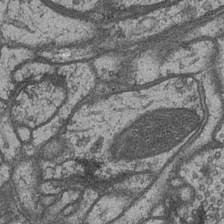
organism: Drosophila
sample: Optic medulla